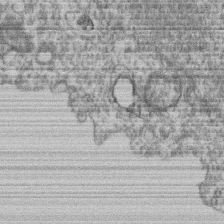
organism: Mouse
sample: T cell stromal cell synapse